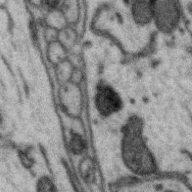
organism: Zebra finch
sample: Brain